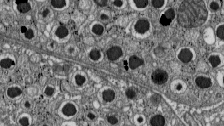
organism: C57BL Mouse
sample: Pancreatic islet